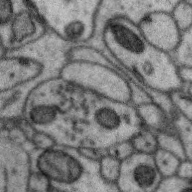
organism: Zebra finch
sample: Brain